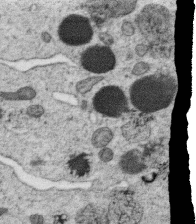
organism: C. elegans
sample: C. elegans oocyte; sperm cells